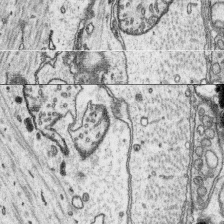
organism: Platynereis dumerilii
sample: Parapodia